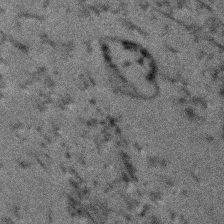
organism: Human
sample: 1205lu cells